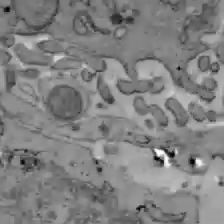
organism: C57BL Mouse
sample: Liver